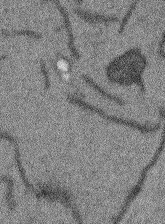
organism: Arabidopsis thaliana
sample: Root tip